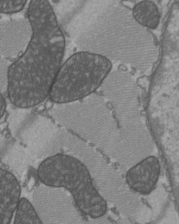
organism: C57BL Mouse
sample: Heart